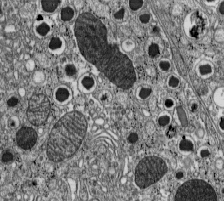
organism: C57BL Mouse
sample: Pancreatic islet